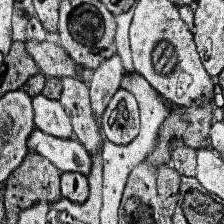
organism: Human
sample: Temporal Lobe